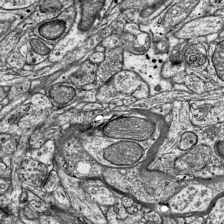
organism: Mouse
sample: Visual Cortex